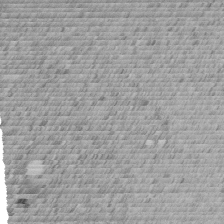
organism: C. elegans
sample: C. elegans embryo early stage